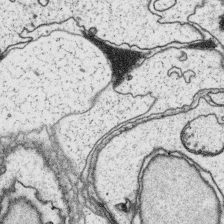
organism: Platynereis dumerilii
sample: Parapodia